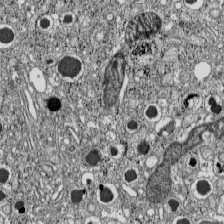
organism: C57BL Mouse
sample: Pancreatic islet